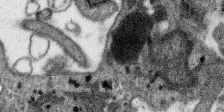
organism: Human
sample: Lung epithelial cells infected with SARS-CoV-2